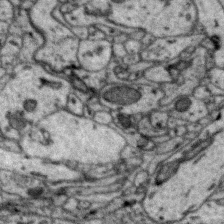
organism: Zebra finch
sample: Brain